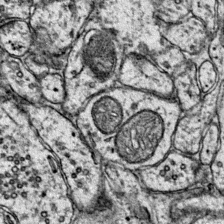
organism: Mouse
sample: Primary visual cortex